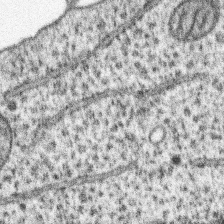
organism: Human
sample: HeLa cells